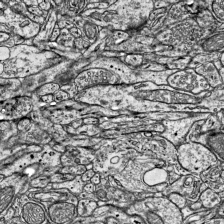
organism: Mouse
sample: Visual Cortex